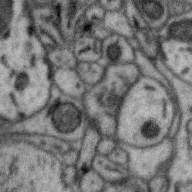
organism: Zebra finch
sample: Brain